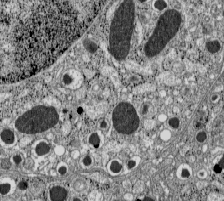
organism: C57BL Mouse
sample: Pancreatic islet